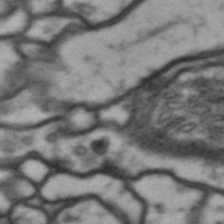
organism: Drosophila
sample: Brain